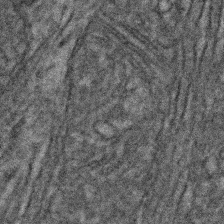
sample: Kidney